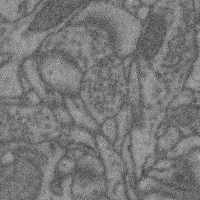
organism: Mouse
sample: Cerebral cortex